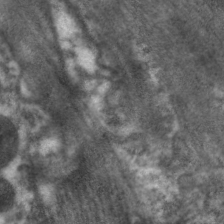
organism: C. elegans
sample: Pharynx